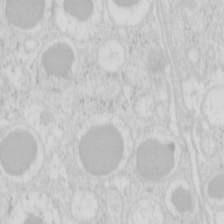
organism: Mouse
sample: Pancreas